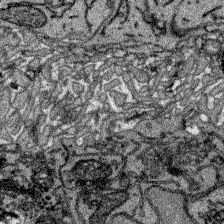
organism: Zebrafish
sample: Larval olfactory bulb